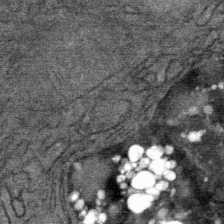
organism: Mouse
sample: Mouse Salivary gland